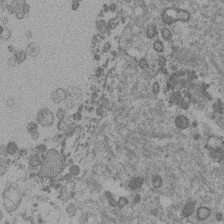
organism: Mouse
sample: Dividing mouse embryo 1 cell stage